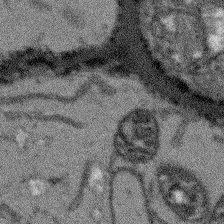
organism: Arabidopsis thaliana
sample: Root tip